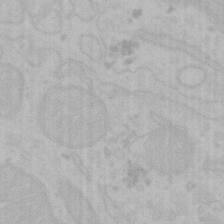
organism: Mouse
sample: Choroid plexus